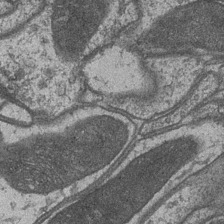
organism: Drosophila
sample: Optic medulla